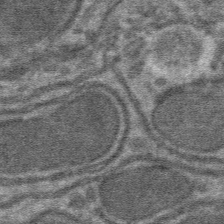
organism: Mouse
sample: Mouse hepatocytes